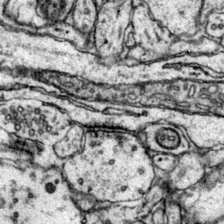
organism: Mouse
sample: Primary visual cortex